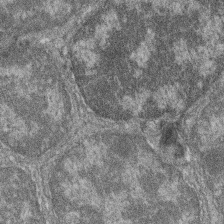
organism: Zebrafish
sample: Cilia; retinal pigment epithelium